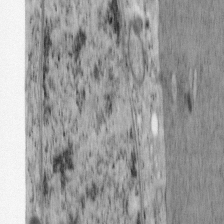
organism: Human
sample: HeLa cells